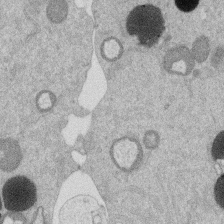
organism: Mouse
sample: Dividing mouse embryo 1 cell stage